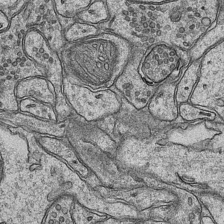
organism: Mouse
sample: CA1 Hippocampus